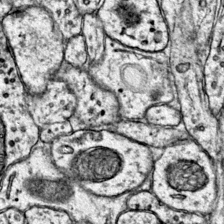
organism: Mouse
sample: Primary visual cortex